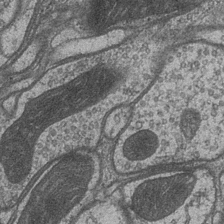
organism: Drosophila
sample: Optic medulla